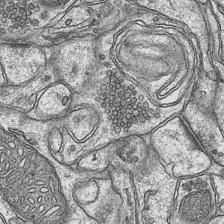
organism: Mouse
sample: CA1 Hippocampus